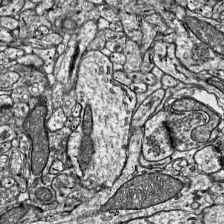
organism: Mouse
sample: Visual Cortex